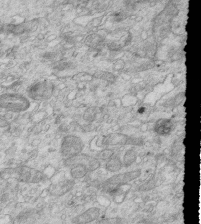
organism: Mouse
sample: Multiciliated cells